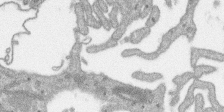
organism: Human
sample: Lung epithelial cells infected with SARS-CoV-2